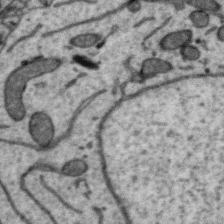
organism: Zebra finch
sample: Brain